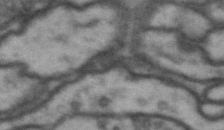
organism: Drosophila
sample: Brain